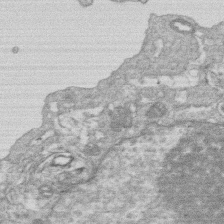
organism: Human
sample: Macrophage cells